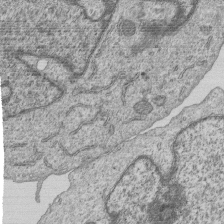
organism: Human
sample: MDA-MB-231 cells